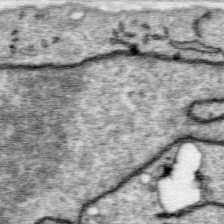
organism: Human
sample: HeLa cells